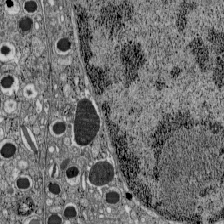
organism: C57BL Mouse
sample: Pancreatic islet